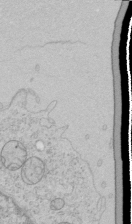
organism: Human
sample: Mitochondria in HCT116 cells